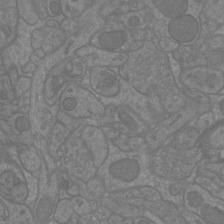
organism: Mouse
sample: Cortical neurons